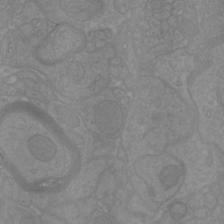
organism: Mouse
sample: Cortical neurons